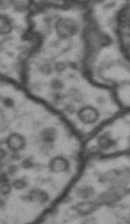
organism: Drosophila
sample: Brain